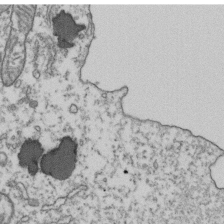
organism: Human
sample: Activated Jurkat CD4+ T cells